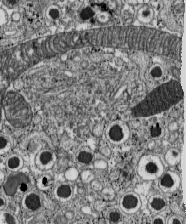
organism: C57BL Mouse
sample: Pancreatic islet